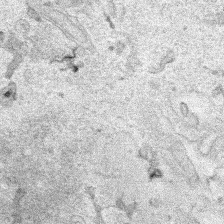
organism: Human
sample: Mitochondria in HCT116 cells